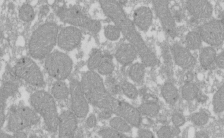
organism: Xenopus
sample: Cilia; centrioles in frog embryo cells